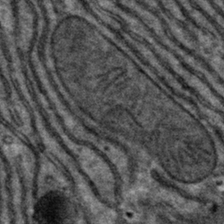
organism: Mouse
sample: Mouse hepatocytes